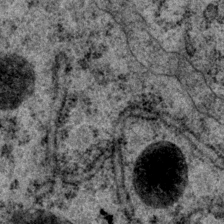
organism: P. pacificus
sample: Pharynx